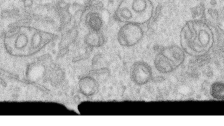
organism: Human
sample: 1205lu cells